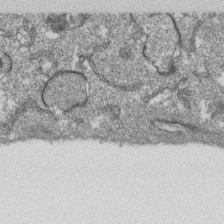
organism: African green monkey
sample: Vero E6 cells infected with SARS-CoV-2